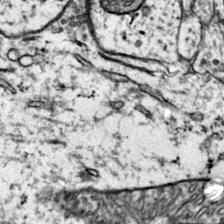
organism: Mouse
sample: Primary visual cortex